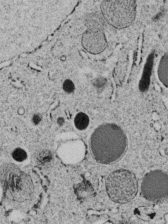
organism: C. elegans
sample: C. elegans embryo early stage